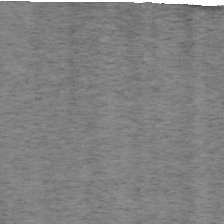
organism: Mouse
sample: OT-I killer T cells with ID8 ovarian cancer cells